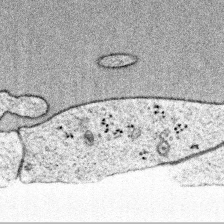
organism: Human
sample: HeLa cells